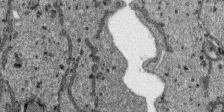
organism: Human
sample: Lung epithelial cells infected with SARS-CoV-2